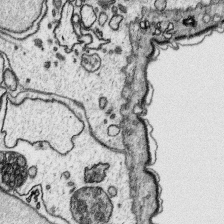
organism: Platynereis dumerilii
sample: Parapodia